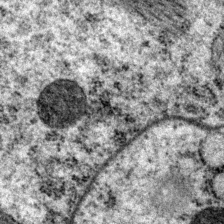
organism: P. pacificus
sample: Pharynx